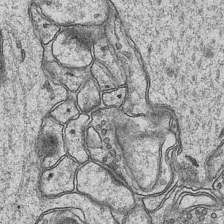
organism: Mouse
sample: CA1 Hippocampus